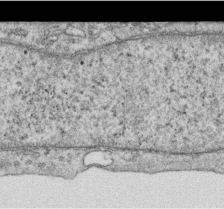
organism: Human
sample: Centriole in RPE cells